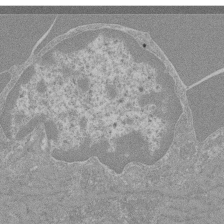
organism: Mouse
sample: Glomerulus